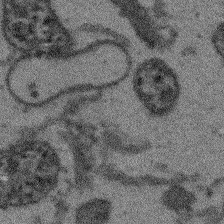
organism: Arabidopsis thaliana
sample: Root tip